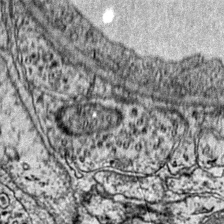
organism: Mouse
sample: Primary visual cortex